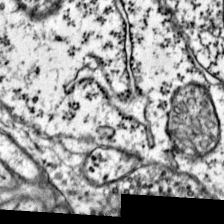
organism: Mouse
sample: Primary visual cortex